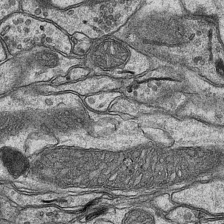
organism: Mouse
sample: CA1 Hippocampus